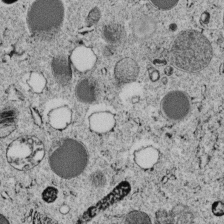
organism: C. elegans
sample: C. elegans embryo early stage